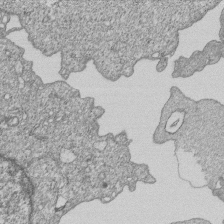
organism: Human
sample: MDA-MB-231 cells